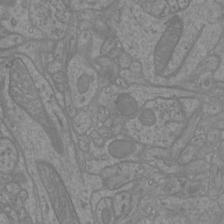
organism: Mouse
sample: Cortical neurons